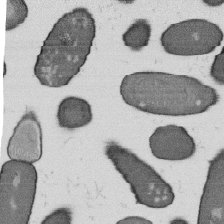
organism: B. subtilis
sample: Bacterial spore